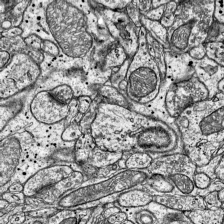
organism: Mouse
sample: Visual Cortex